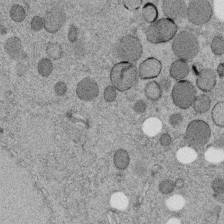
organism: C. elegans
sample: C. elegans embryo early stage